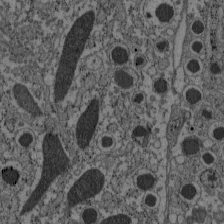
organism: C57BL Mouse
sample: Pancreatic islet